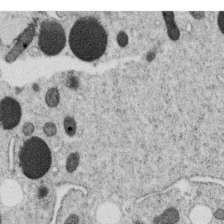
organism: C. elegans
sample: C. elegans oocyte; sperm cells